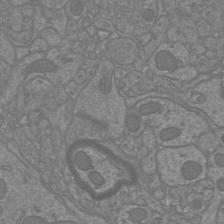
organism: Mouse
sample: Cortical neurons